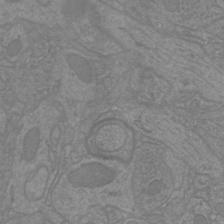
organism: Mouse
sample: Cortical neurons